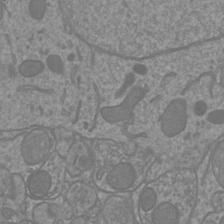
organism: Mouse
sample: Cortical neurons